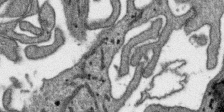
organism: Human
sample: Lung epithelial cells, uninfected (mock) control